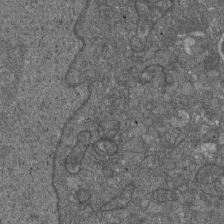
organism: Drosophila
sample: Nephrocyte